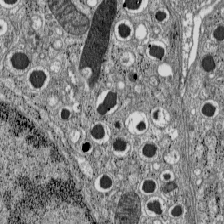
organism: C57BL Mouse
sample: Pancreatic islet